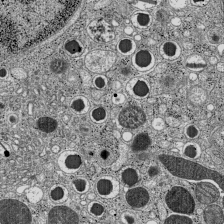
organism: C57BL Mouse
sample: Pancreatic islet